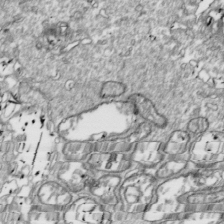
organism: Drosophila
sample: Cell division; meiosis; drosophila spermatocytes